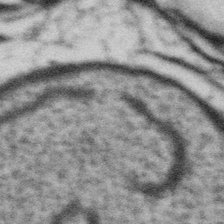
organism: Gemmata obscuriglobus